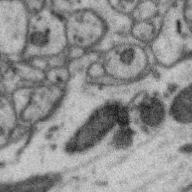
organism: Zebra finch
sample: Brain